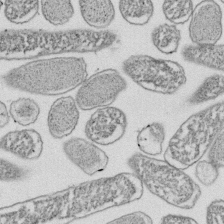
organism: E. coli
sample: Bacterial nucleoid